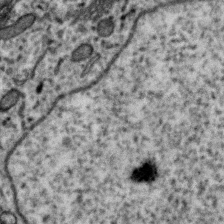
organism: Zebra finch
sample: Brain